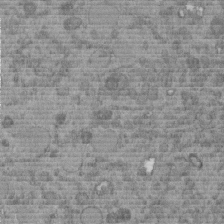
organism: C. elegans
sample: C. elegans embryo early stage